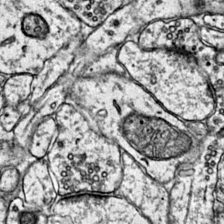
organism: Mouse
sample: Primary visual cortex